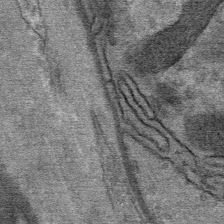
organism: Mouse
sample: Mouse Salivary gland